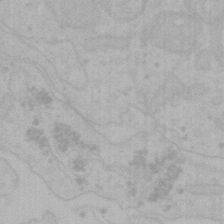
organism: Mouse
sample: Choroid plexus